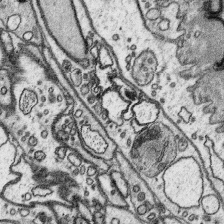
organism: Platynereis dumerilii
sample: Parapodia